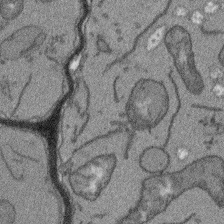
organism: Arabidopsis thaliana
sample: Root tip